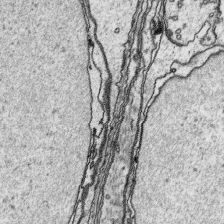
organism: Platynereis dumerilii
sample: Parapodia